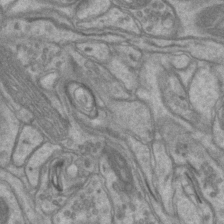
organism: Mouse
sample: CA1 Hippocampus